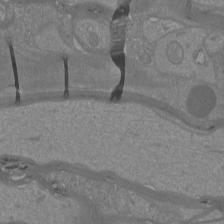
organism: Mouse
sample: Cortical neurons